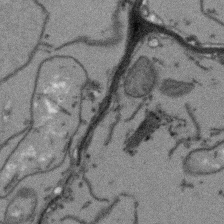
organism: Arabidopsis thaliana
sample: Root tip